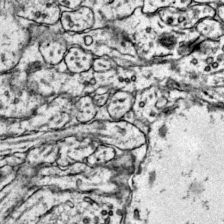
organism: Mouse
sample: Primary visual cortex